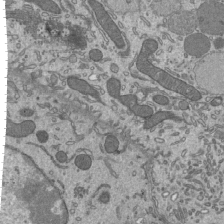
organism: Mouse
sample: Mouse epididymis efferent ductule cilia